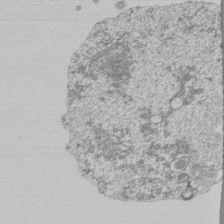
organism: Mouse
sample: Activated Pmel transgenic CD8+ T Cells